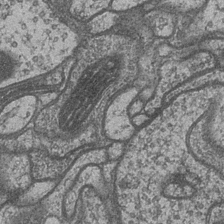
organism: Drosophila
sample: Optic medulla